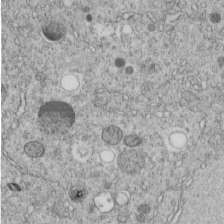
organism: C. elegans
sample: C. elegans embryo early stage